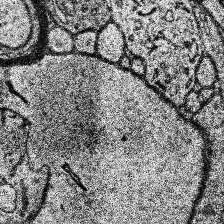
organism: Human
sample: Temporal Lobe